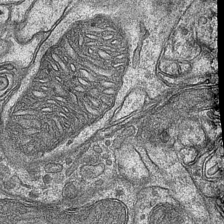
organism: Mouse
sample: CA1 Hippocampus